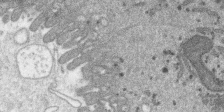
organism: Human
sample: Lung epithelial cells infected with SARS-CoV-2